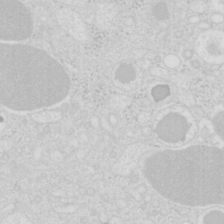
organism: Mouse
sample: Pancreas